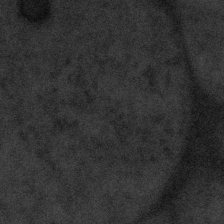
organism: Tuwongella immobilis